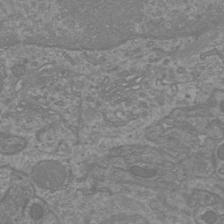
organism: Mouse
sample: Cortical neurons